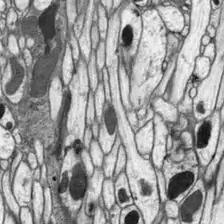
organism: Drosophila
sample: Optic lobe